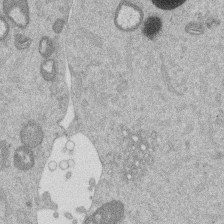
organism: Mouse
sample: Dividing mouse embryo 1 cell stage